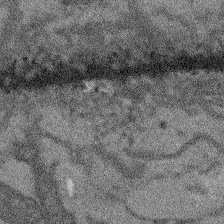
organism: Arabidopsis thaliana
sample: Root tip